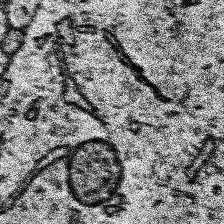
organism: Human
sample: Temporal Lobe